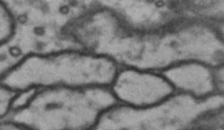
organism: Drosophila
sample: Brain